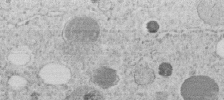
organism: C. elegans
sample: C. elegans embryo early stage